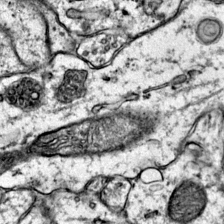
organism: Mouse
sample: Primary visual cortex